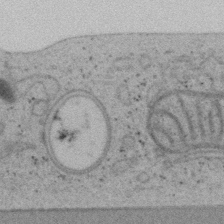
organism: Human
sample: HeLa cells